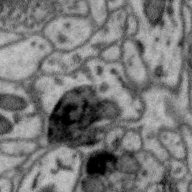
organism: Zebra finch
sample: Brain